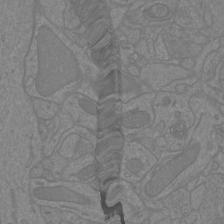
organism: Mouse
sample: Cortical neurons